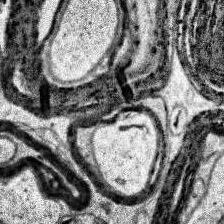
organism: Human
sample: Temporal Lobe